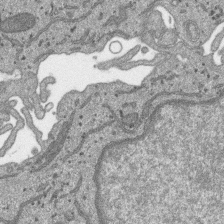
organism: Human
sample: Lung epithelial cells infected with SARS-CoV-2